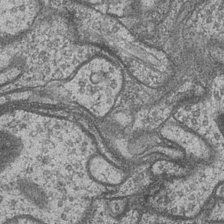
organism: Drosophila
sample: Optic medulla